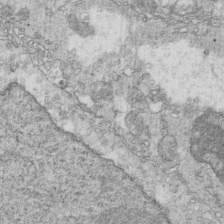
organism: Mouse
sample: Multiciliated cells